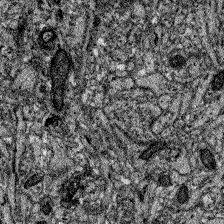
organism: Zebrafish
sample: Larval olfactory bulb